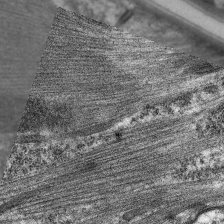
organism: C. elegans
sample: Pharynx